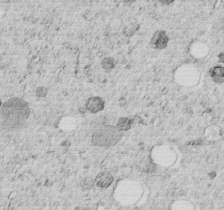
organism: C. elegans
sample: C. elegans embryo early stage